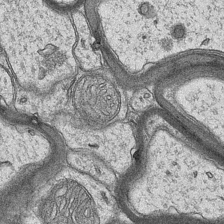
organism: Mouse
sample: CA1 Hippocampus